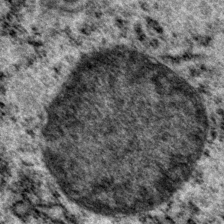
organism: P. pacificus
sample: Pharynx